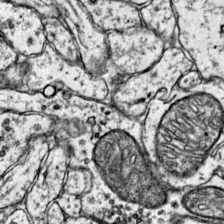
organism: Mouse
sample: Primary visual cortex